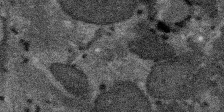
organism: Human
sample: Lung epithelial cells infected with SARS-CoV-2